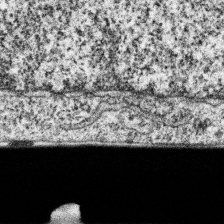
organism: Human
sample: HeLa cells